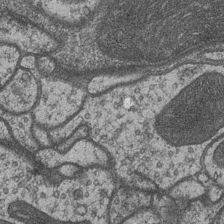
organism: Drosophila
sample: Optic medulla